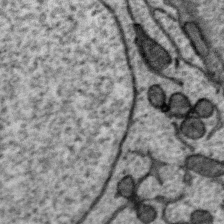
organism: Zebra finch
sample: Brain